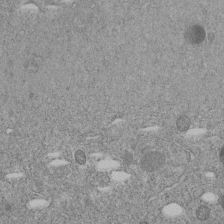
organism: C. elegans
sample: C. elegans embryo early stage